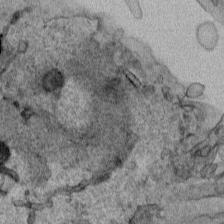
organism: Human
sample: Mitochondria in HCT116 cells